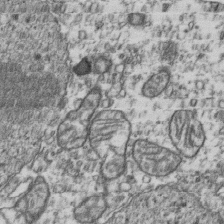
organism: Human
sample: Activated Jurkat CD4+ T cells